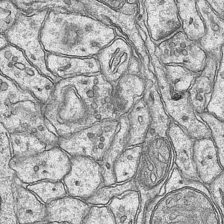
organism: Mouse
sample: CA1 Hippocampus